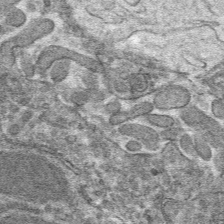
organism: Mouse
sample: Mouse hepatocytes